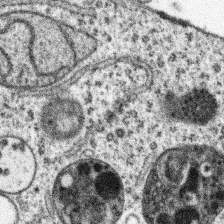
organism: Human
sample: HeLa cells